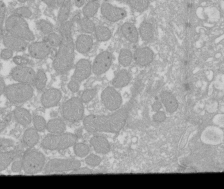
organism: Xenopus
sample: Cilia; centrioles in frog embryo cells